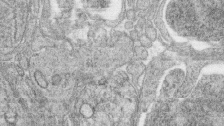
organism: Zebrafish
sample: synaptic ribbons in rod cells and cone cells